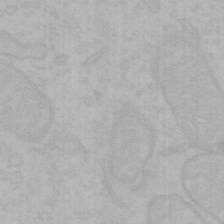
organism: Mouse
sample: Choroid plexus